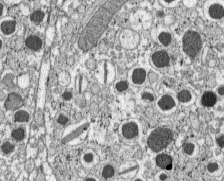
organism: C57BL Mouse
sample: Pancreatic islet